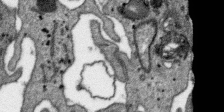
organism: Human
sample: Lung epithelial cells, uninfected (mock) control